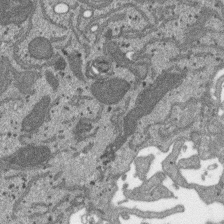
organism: Human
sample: Lung epithelial cells infected with SARS-CoV-2